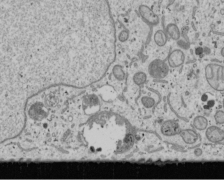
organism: Human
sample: Mitochondria in U2OS cells